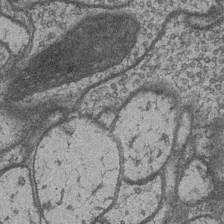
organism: Drosophila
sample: Optic medulla